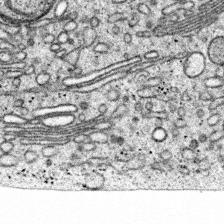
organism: Human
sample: HeLa cells